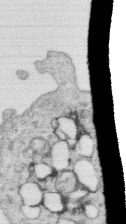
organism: Human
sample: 1205lu cells